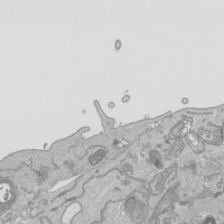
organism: Human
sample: Mitochondria in HCT116 cells